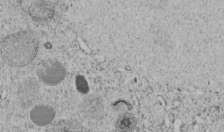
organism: C. elegans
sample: C. elegans embryo early stage